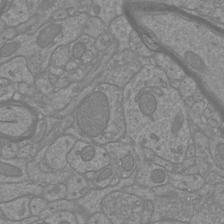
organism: Mouse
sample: Cortical neurons